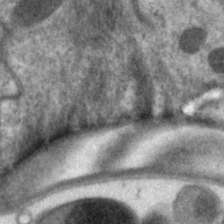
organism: C. elegans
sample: Pharynx